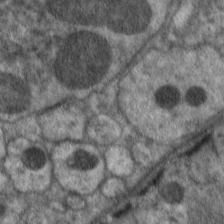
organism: C. elegans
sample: Pharynx